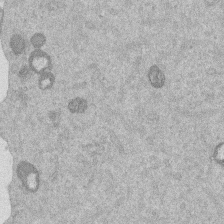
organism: Mouse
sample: Dividing mouse embryo 1 cell stage